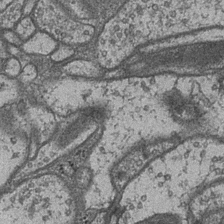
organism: Drosophila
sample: Optic medulla